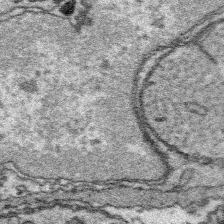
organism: Platynereis dumerilii